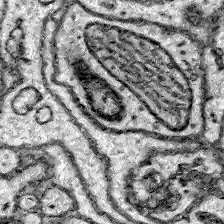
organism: Zebrafish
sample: Brain